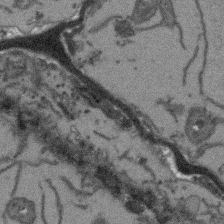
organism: Arabidopsis thaliana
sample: Root tip